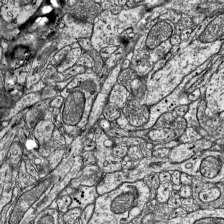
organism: Mouse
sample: Visual Cortex